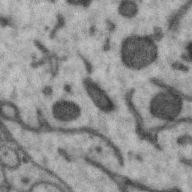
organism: Zebra finch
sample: Brain